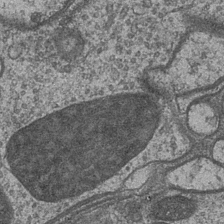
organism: Drosophila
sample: Optic medulla